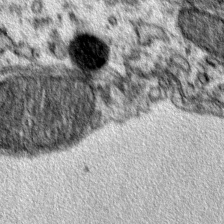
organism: Mouse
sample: Primary visual cortex